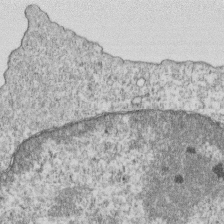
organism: Mouse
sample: Activated OT-1 CD8+ T cells